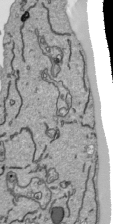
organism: Human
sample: Mitochondria in HCT116 cells